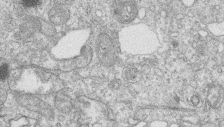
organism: Human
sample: HeLa cell HIV synapse